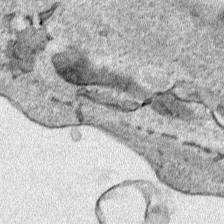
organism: Human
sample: Mitochondria in HCT116 cells